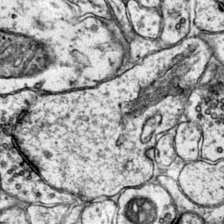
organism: Mouse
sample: Primary visual cortex